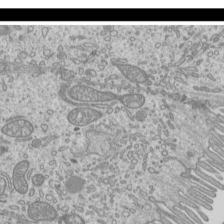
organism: Mouse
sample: Cilia; mouse epididymis